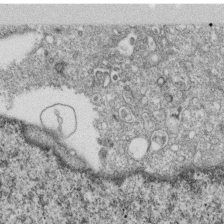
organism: African green monkey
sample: Vero E6 cells infected with SARS-CoV-2